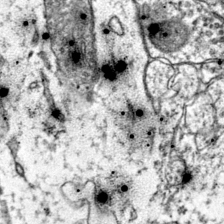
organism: Mouse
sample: Primary visual cortex